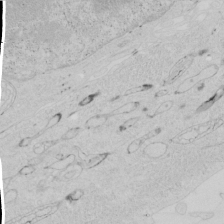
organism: Human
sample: Mitochondria in HCT116 cells